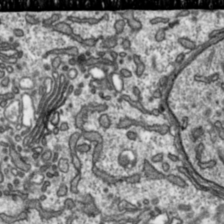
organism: Toxoplasma gondii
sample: Parasites in a vacuole inside a host cell